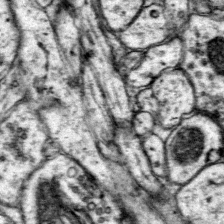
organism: Mouse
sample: Primary visual cortex